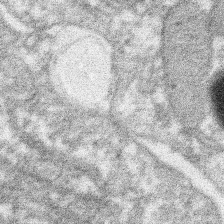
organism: Xenopus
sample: Cilia; centrioles in frog embryo cells